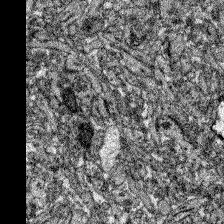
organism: Zebrafish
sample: Larval olfactory bulb